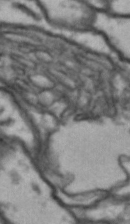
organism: Drosophila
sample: Brain